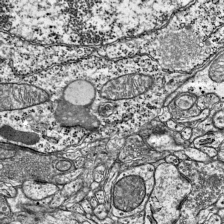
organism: Mouse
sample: Visual Cortex